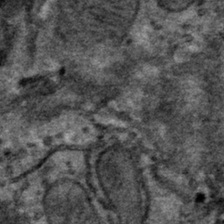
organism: Mouse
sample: Mouse hepatocytes